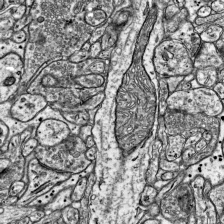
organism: Mouse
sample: Visual Cortex